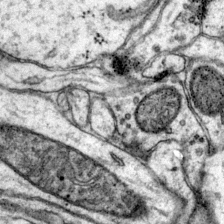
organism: Mouse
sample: Primary visual cortex